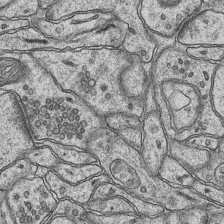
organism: Mouse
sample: CA1 Hippocampus